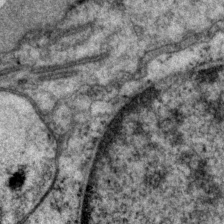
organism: P. pacificus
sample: Pharynx